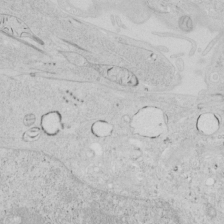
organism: Human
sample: Mitochondria in HCT116 cells